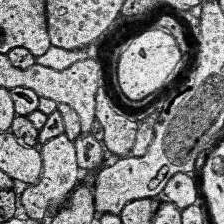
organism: Human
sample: Temporal Lobe